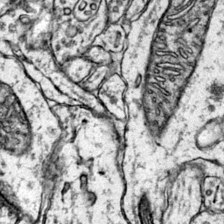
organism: Mouse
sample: Primary visual cortex